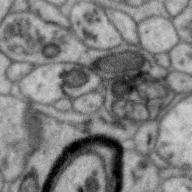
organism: Zebra finch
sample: Brain